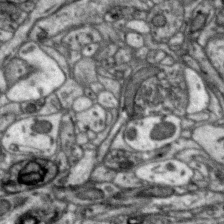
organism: Zebra finch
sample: Brain